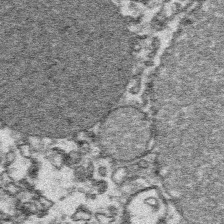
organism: Platynereis dumerilii